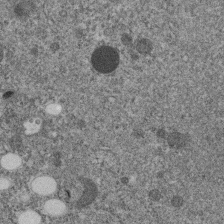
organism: C. elegans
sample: C. elegans embryo early stage